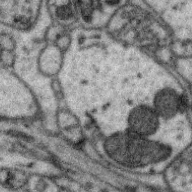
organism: Zebra finch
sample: Brain